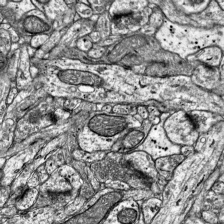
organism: Mouse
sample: Visual Cortex